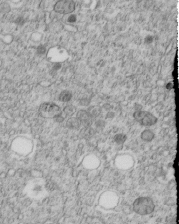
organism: C. elegans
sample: C. elegans embryo early stage